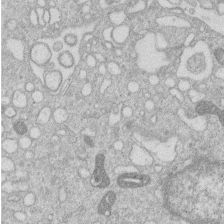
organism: Human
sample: Macrophage cells